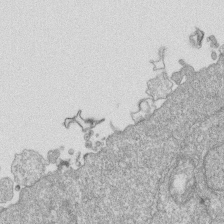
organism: Human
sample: HeLa cell HIV synapse